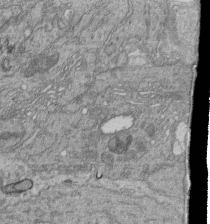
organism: Human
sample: Retinal organoid Rod and Cone cells